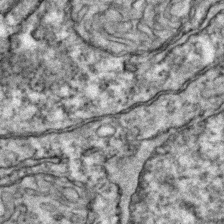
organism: Zebrafish